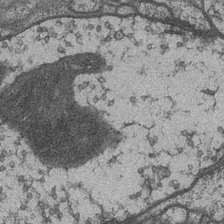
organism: Drosophila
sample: Optic medulla